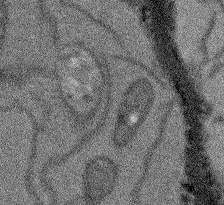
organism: Arabidopsis thaliana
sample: Root tip